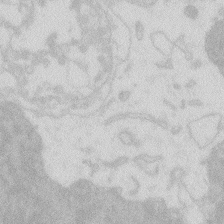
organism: Zebrafish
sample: Macrophage